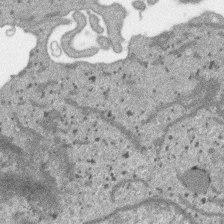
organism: Human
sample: Lung epithelial cells infected with SARS-CoV-2